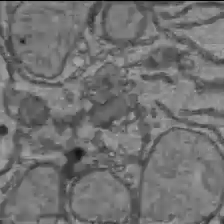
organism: C57BL Mouse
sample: Liver